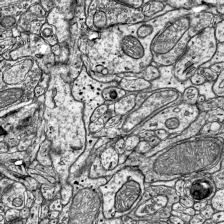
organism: Mouse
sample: Visual Cortex